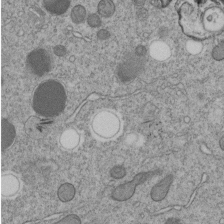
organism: C. elegans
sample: C. elegans embryo early stage